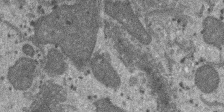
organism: Human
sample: Lung epithelial cells infected with SARS-CoV-2